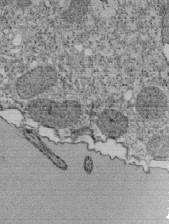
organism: Tetrahymena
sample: Cilia in tetrahymena